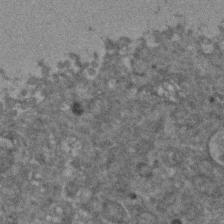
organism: Zebrafish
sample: Zebrafish embryo